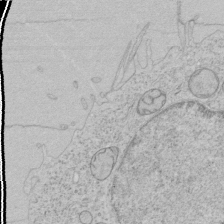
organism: Human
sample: Mitochondria in HCT116 cells